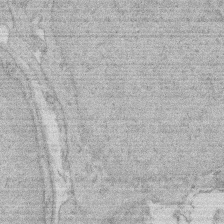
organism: Rat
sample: Salivary granule